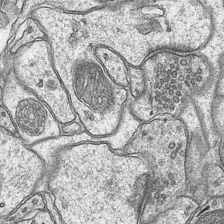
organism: Mouse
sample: CA1 Hippocampus